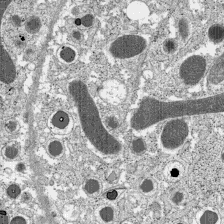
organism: C57BL Mouse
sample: Pancreatic islet